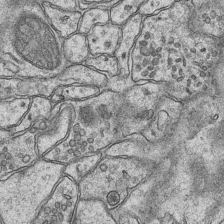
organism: Mouse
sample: CA1 Hippocampus